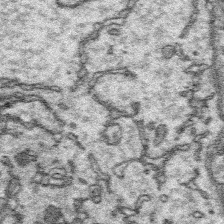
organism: Platynereis dumerilii